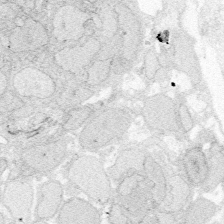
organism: Zebrafish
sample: Whole-Brain